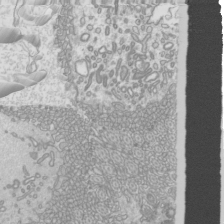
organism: Mouse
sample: Cilia; mouse epididymis